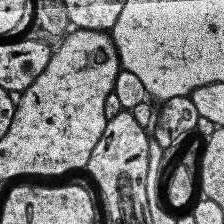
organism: Human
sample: Temporal Lobe